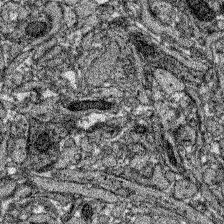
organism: Zebrafish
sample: Larval olfactory bulb